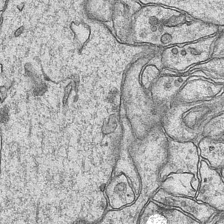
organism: Mouse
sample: CA1 Hippocampus